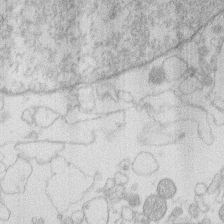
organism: Human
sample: Macrophage cells